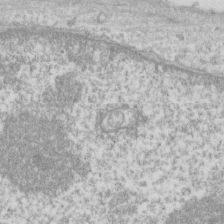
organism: Human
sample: Fibroblast cells